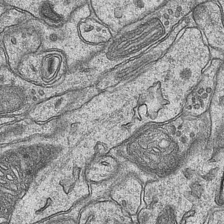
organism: Mouse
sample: CA1 Hippocampus